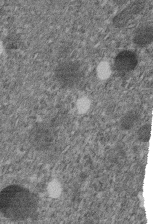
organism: C. elegans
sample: C. elegans embryo early stage